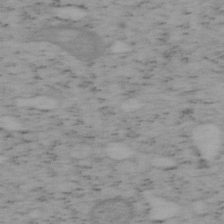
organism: Mouse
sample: OT-I killer T cells with ID8 ovarian cancer cells